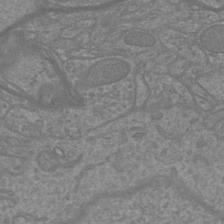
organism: Mouse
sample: Cortical neurons